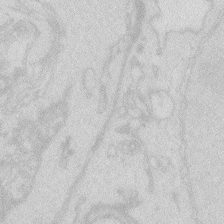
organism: Zebrafish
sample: Macrophage